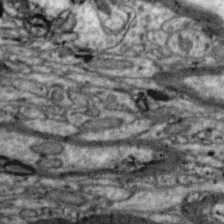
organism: Zebra finch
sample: Brain